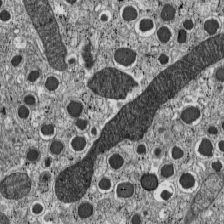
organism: C57BL Mouse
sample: Pancreatic islet